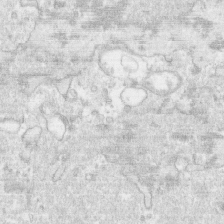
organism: Human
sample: CRL-1474